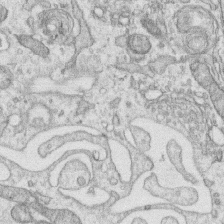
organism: Human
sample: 1205lu cells